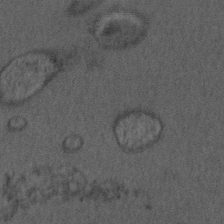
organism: Human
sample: HeLa cells